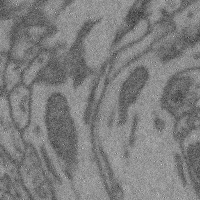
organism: Mouse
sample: Cerebral cortex